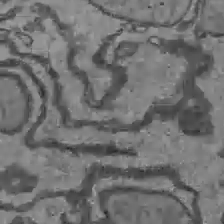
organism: C57BL Mouse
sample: Liver